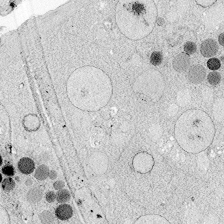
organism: Zebrafish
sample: Whole-Brain